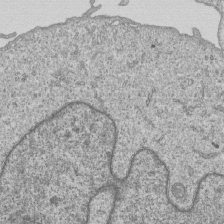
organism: Human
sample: MDA-MB-231 cells